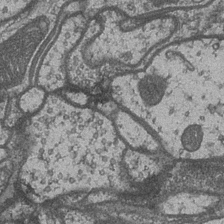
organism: Drosophila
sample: Optic medulla